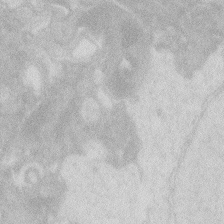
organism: Zebrafish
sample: Macrophage